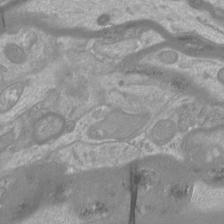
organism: Mouse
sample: Cortical neurons